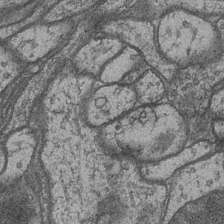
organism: Drosophila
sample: Optic medulla